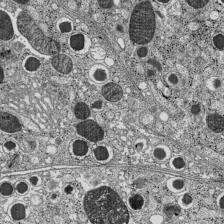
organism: C57BL Mouse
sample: Pancreatic islet